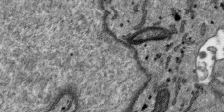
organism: Human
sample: Lung epithelial cells, uninfected (mock) control